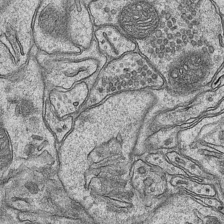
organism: Mouse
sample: CA1 Hippocampus